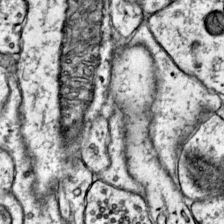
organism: Mouse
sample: Primary visual cortex